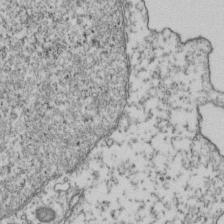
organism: Human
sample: Activated Jurkat CD4+ T cells